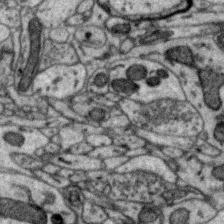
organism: Zebra finch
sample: Brain